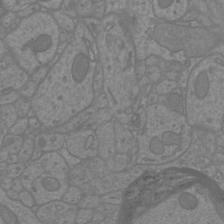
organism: Mouse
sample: Cortical neurons